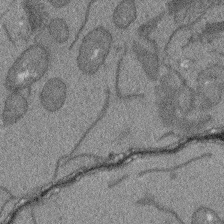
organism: Arabidopsis thaliana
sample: Root tip